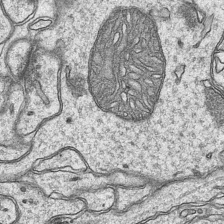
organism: Mouse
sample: CA1 Hippocampus